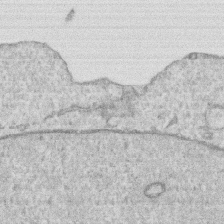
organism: Human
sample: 1205lu cells